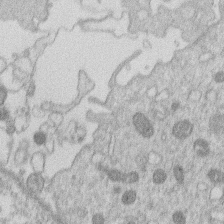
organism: Human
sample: Macrophage cells